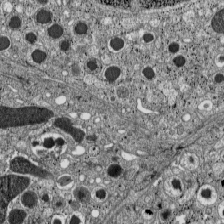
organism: C57BL Mouse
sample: Pancreatic islet